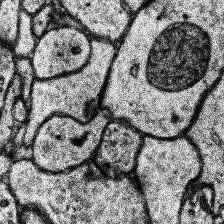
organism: Human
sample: Temporal Lobe